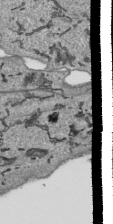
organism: Human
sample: Mitochondria in HCT116 cells